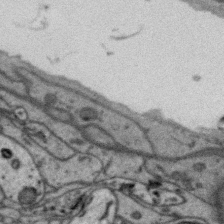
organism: Zebra finch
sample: Brain